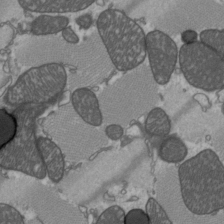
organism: C57BL Mouse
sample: Heart